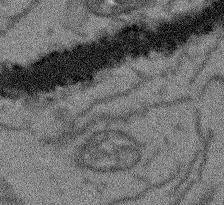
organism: Arabidopsis thaliana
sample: Root tip